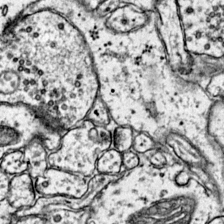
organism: Mouse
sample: Primary visual cortex